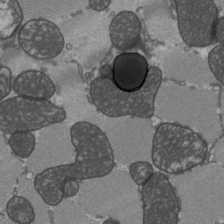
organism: C57BL Mouse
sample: Heart